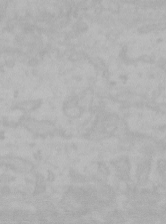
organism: Mouse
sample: Choroid plexus